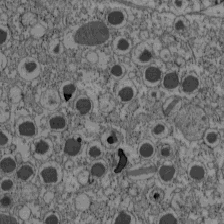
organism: C57BL Mouse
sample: Pancreatic islet